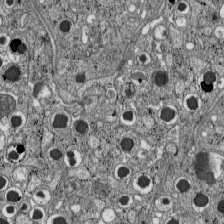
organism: C57BL Mouse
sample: Pancreatic islet